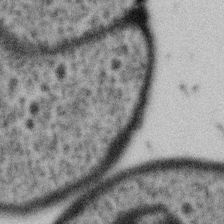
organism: Gemmata obscuriglobus